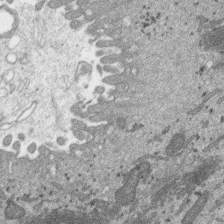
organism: Human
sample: Lung epithelial cells infected with SARS-CoV-2